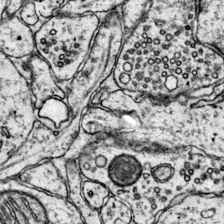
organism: Mouse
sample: Primary visual cortex